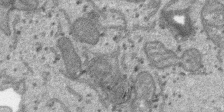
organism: Human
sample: Lung epithelial cells infected with SARS-CoV-2